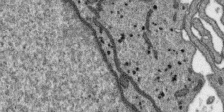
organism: Human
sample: Lung epithelial cells, uninfected (mock) control